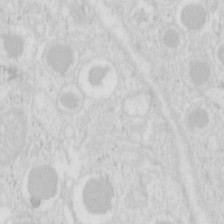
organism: Mouse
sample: Pancreas